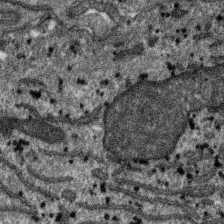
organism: Human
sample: Lung epithelial cells infected with SARS-CoV-2